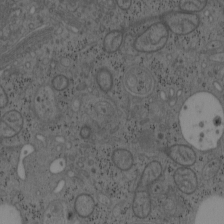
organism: Mouse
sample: OT-I killer T cells with ID8 ovarian cancer cells